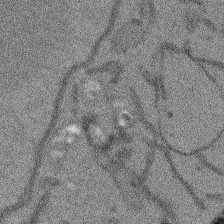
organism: Arabidopsis thaliana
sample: Root tip